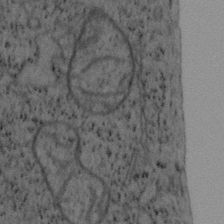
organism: Human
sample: HeLa cells